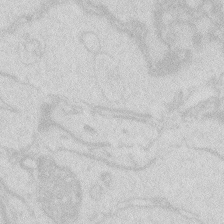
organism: Zebrafish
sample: Macrophage